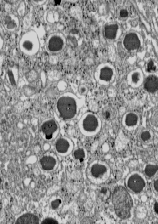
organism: C57BL Mouse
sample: Pancreatic islet